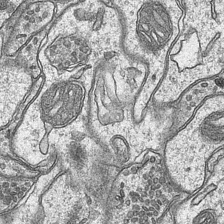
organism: Mouse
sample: CA1 Hippocampus